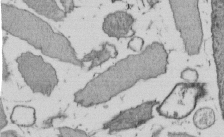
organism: E. coli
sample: Bacterial nucleoid